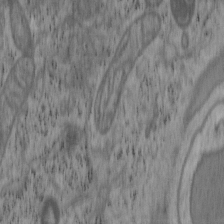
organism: Human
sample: HeLa cells